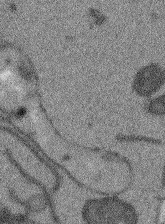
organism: Arabidopsis thaliana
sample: Root tip